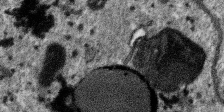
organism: Human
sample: Lung epithelial cells infected with SARS-CoV-2